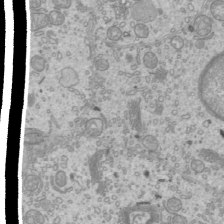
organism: Mouse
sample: Cilia; mouse epididymis